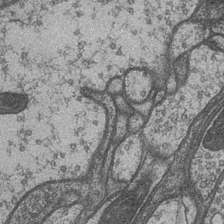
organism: Drosophila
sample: Optic medulla